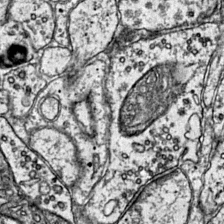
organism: Mouse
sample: Primary visual cortex